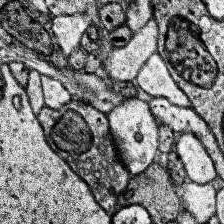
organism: Human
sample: Temporal Lobe